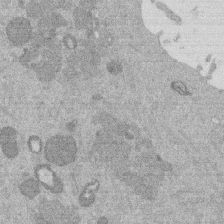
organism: Mouse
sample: Dividing mouse embryo 1 cell stage